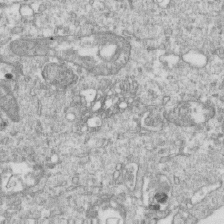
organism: Mouse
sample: Activated OT-1 CD8+ T cells